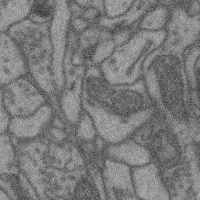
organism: Mouse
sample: Cerebral cortex